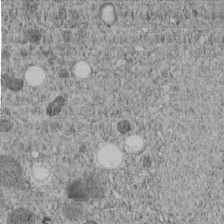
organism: C. elegans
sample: C. elegans embryo early stage